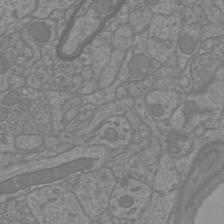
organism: Mouse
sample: Cortical neurons